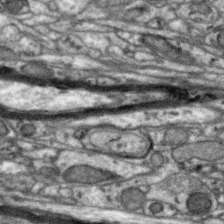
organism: Zebra finch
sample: Brain